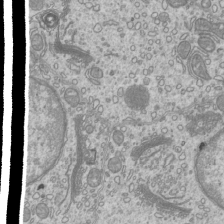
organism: Mouse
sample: Cilia; mouse epididymis